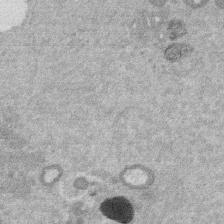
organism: Mouse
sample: Dividing mouse embryo 1 cell stage